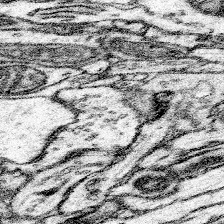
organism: Mouse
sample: Somatosensory cortex neuropil